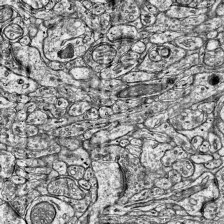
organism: Mouse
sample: Visual Cortex